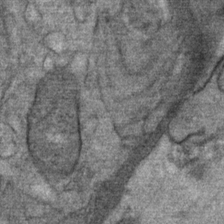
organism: Mouse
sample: Mouse Salivary gland